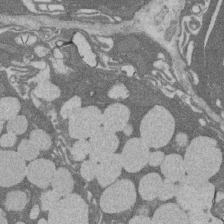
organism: Rat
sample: Salivary granule